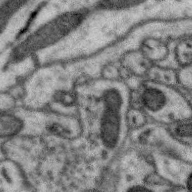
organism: Zebra finch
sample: Brain